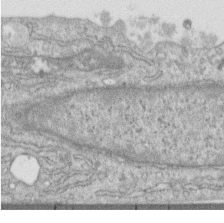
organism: Human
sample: Centriole in RPE cells